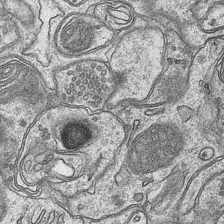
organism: Mouse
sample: CA1 Hippocampus